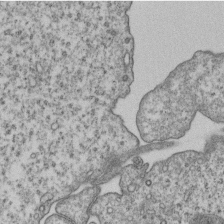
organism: Human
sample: MDA-MB-231 cells